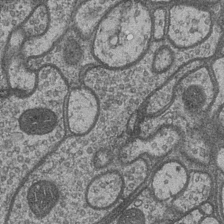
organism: Drosophila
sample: Optic medulla